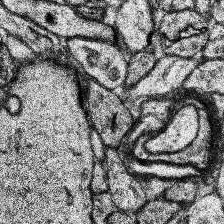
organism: Human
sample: Temporal Lobe